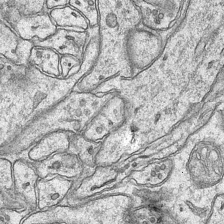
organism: Mouse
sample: CA1 Hippocampus